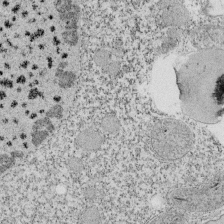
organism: Tetrahymena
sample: Cilia in tetrahymena